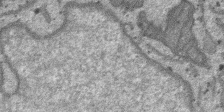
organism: Human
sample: Lung epithelial cells infected with SARS-CoV-2